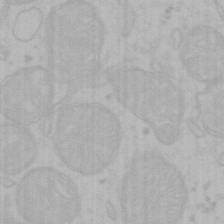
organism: Mouse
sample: Choroid plexus